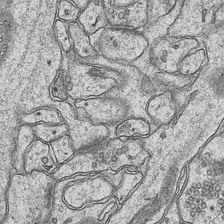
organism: Mouse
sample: CA1 Hippocampus